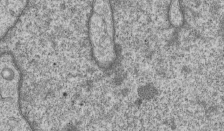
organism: Human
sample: MDA-MB-231 cells